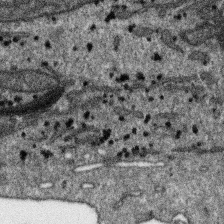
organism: Human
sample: Lung epithelial cells infected with SARS-CoV-2